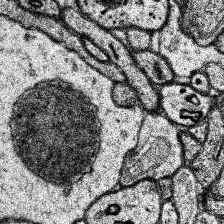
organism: Human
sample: Temporal Lobe